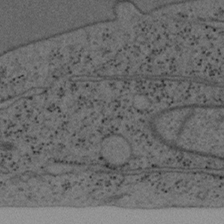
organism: Human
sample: HeLa cells